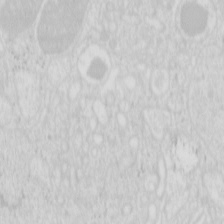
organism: Mouse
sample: Pancreas